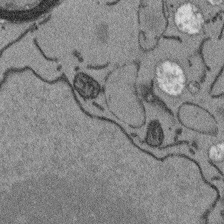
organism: Arabidopsis thaliana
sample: Root tip